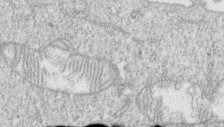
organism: Human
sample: HeLa cell HIV synapse